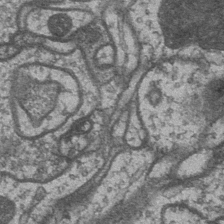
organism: Drosophila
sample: Optic medulla